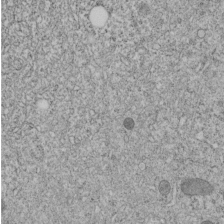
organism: C. elegans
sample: C. elegans embryo early stage